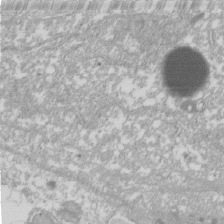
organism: Xenopus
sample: Cilia; centrioles in frog embryo cells